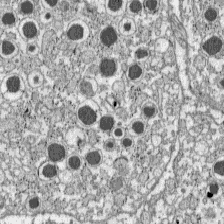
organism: C57BL Mouse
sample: Pancreatic islet